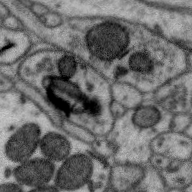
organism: Zebra finch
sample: Brain